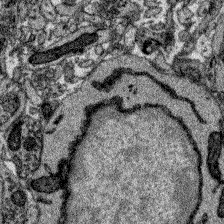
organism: Zebrafish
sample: Larval olfactory bulb